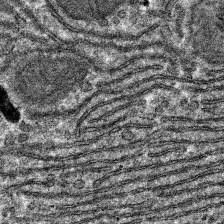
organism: Mouse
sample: Mouse hepatocytes